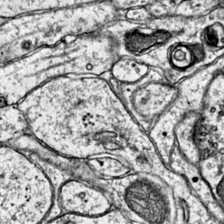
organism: Mouse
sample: Primary visual cortex